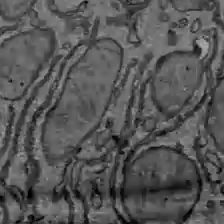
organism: C57BL Mouse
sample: Liver